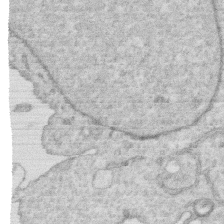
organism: Human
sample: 1205lu cells